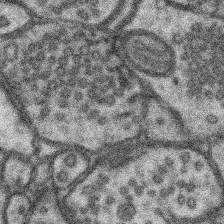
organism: Mouse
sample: Somatosensory cortex neuropil